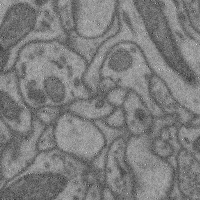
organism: Mouse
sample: Cerebral cortex